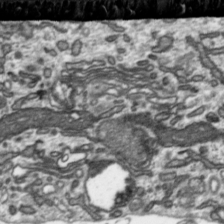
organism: Toxoplasma gondii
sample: Parasites in a vacuole inside a host cell